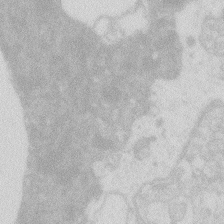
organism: Zebrafish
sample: Macrophage